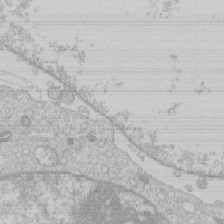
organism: Human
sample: Macrophage cells